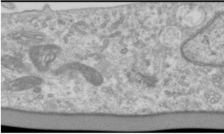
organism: Human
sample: Cilia; basal body in RPE cells